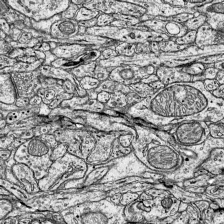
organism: Mouse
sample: Visual Cortex